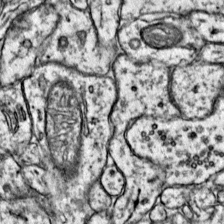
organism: Mouse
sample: Primary visual cortex